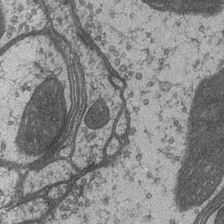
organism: Drosophila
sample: Optic medulla